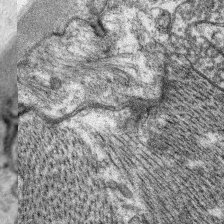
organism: C. elegans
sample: Pharynx